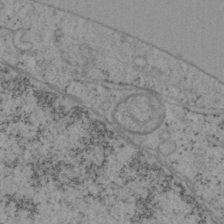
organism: Human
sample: HeLa cells